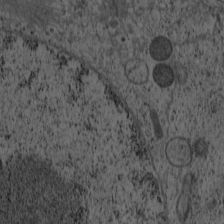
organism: African green monkey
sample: COS-7 cells